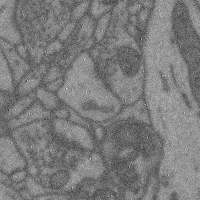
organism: Mouse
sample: Cerebral cortex